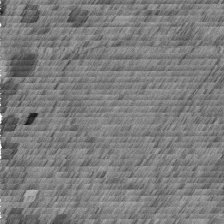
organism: C. elegans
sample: C. elegans embryo early stage